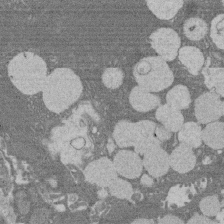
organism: Rat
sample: Salivary granule